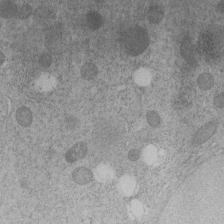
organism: C. elegans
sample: C. elegans embryo early stage